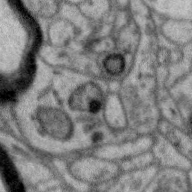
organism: Zebra finch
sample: Brain